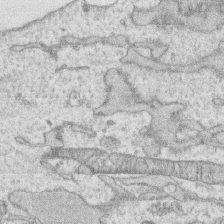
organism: Human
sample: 1205lu cells